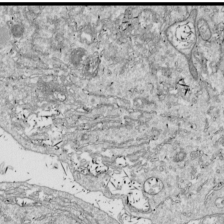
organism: Drosophila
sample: Cell division; meiosis; drosophila spermatocytes